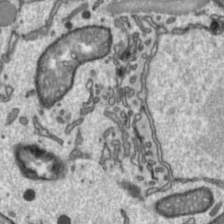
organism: Toxoplasma gondii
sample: Parasites in a vacuole inside a host cell